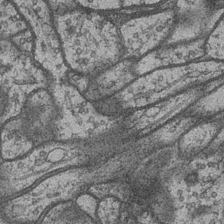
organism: Drosophila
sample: Optic medulla